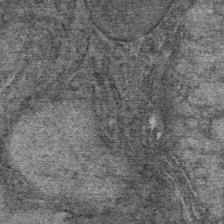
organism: Mouse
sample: Mouse Salivary gland